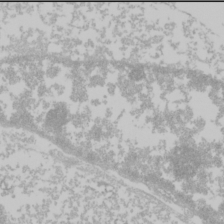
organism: Mouse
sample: Cancer cell death in ED-1 cells